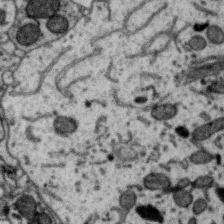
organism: Zebra finch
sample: Brain